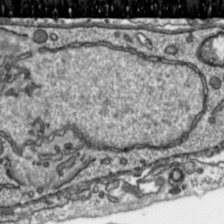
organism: Toxoplasma gondii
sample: Parasites in a vacuole inside a host cell